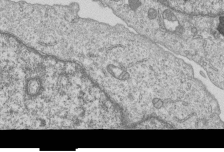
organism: Human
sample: MDA-MB-231 cells